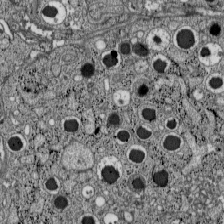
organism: C57BL Mouse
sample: Pancreatic islet